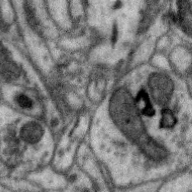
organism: Zebra finch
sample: Brain